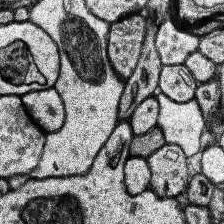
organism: Human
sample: Temporal Lobe